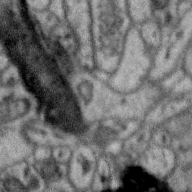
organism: Zebra finch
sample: Brain